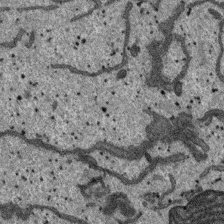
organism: Human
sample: Lung epithelial cells, uninfected (mock) control